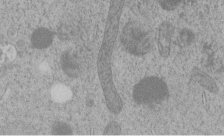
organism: C. elegans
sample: C. elegans embryo early stage